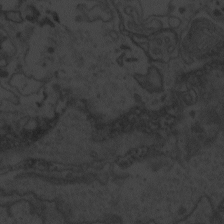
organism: Zebrafish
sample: Macrophage infected with Toxoplasma gondii